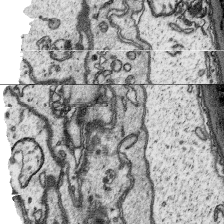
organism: Platynereis dumerilii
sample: Parapodia